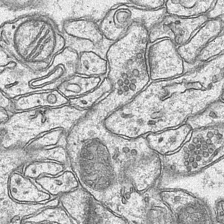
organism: Mouse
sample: CA1 Hippocampus